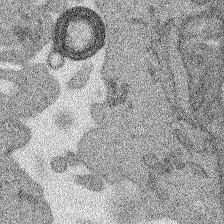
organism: Human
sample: HeLa cells